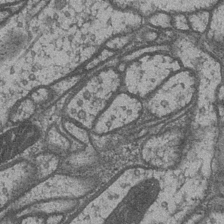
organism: Drosophila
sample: Optic medulla